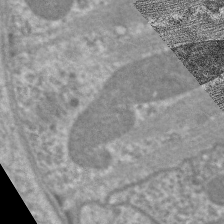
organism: C. elegans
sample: Pharynx